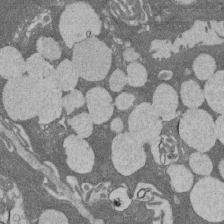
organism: Rat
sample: Salivary granule